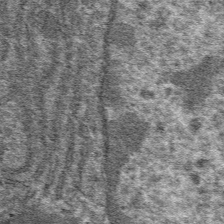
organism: Mouse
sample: Mouse hepatocytes